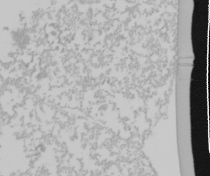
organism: Mouse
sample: Cancer cell death in ED-1 cells